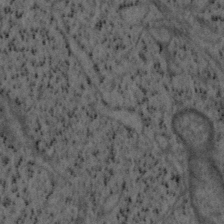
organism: Human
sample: HeLa cells